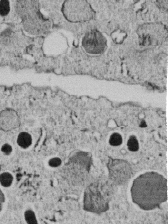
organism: C. elegans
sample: C. elegans embryo early stage